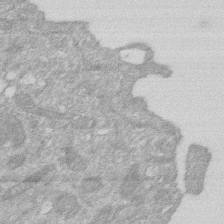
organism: Human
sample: HIV infected U937 cells